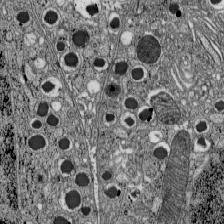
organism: C57BL Mouse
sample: Pancreatic islet